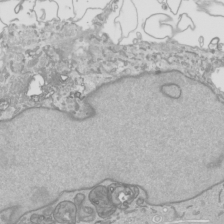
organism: Human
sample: Mitochondria in HCT116 cells